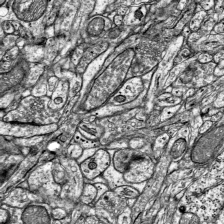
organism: Mouse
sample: Visual Cortex